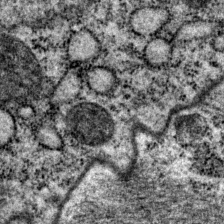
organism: P. pacificus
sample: Pharynx